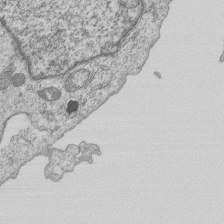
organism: Human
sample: MDA-MB-231 cells